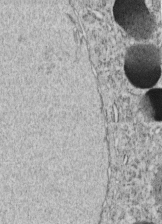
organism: C. elegans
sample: C. elegans embryo early stage